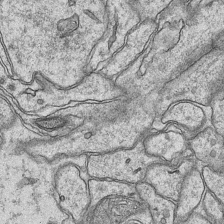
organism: Mouse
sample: CA1 Hippocampus